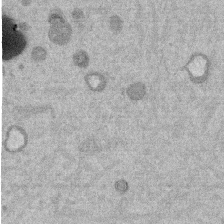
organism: Mouse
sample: Dividing mouse embryo 1 cell stage